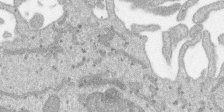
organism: Human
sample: Lung epithelial cells infected with SARS-CoV-2